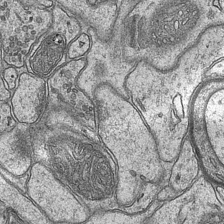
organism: Mouse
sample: CA1 Hippocampus